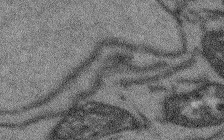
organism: Arabidopsis thaliana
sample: Root tip